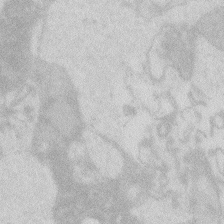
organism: Zebrafish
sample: Macrophage